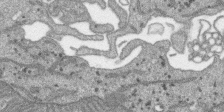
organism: Human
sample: Lung epithelial cells infected with SARS-CoV-2